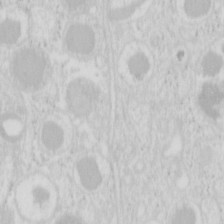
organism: Mouse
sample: Pancreas